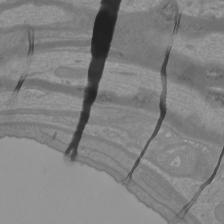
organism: Mouse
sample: Cortical neurons